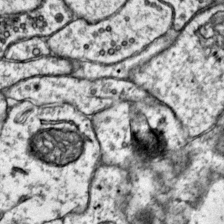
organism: Mouse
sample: Primary visual cortex